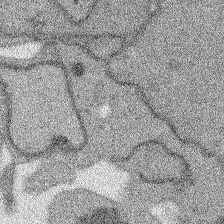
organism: Human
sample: HeLa cells